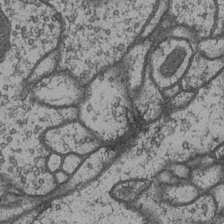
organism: Drosophila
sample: Optic medulla